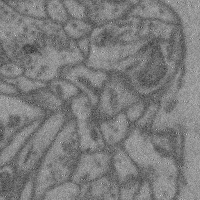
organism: Mouse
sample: Cerebral cortex